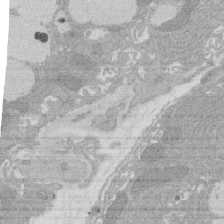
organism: Rat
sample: Salivary granule